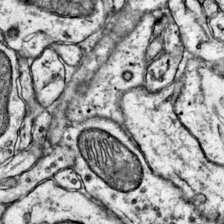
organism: Mouse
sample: Primary visual cortex